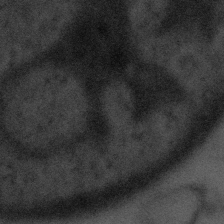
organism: Tuwongella immobilis